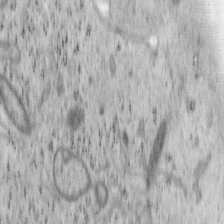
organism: Human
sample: HeLa cells